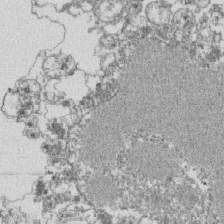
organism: Human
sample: HeLa cell HIV synapse